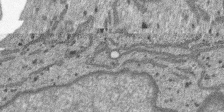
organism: Human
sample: Lung epithelial cells infected with SARS-CoV-2